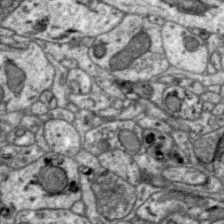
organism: Zebra finch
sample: Brain